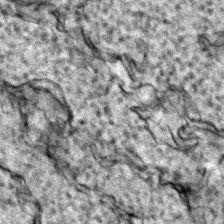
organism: Zebrafish